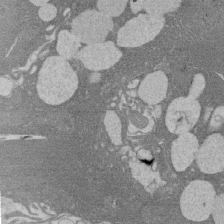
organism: Rat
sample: Salivary granule